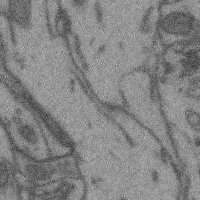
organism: Mouse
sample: Cerebral cortex